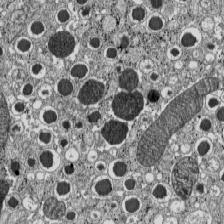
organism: C57BL Mouse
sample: Pancreatic islet